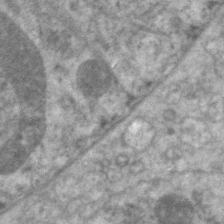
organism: C. elegans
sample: Pharynx